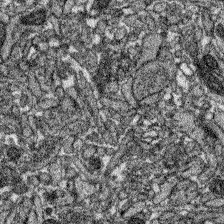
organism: Zebrafish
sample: Larval olfactory bulb